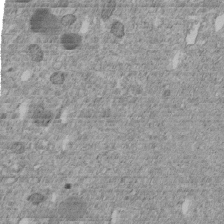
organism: C. elegans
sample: C. elegans embryo early stage